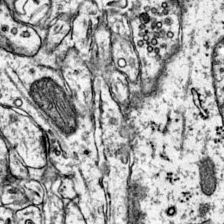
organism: Mouse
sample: Primary visual cortex